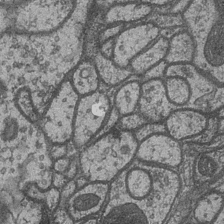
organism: Drosophila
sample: Optic medulla